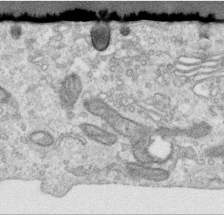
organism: Human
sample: Centriole in RPE cells